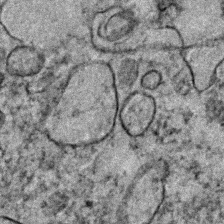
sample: Trachea